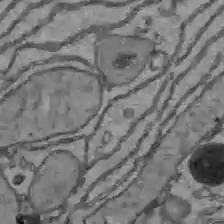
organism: C57BL Mouse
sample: Liver